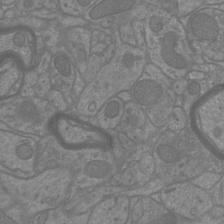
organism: Mouse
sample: Cortical neurons